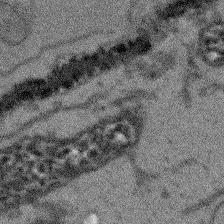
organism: Arabidopsis thaliana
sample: Root tip